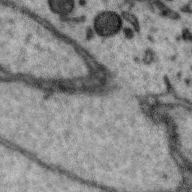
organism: Zebra finch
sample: Brain